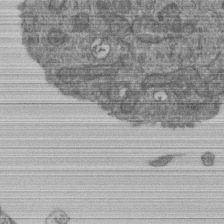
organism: Human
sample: Retinal organoid Rod and Cone cells